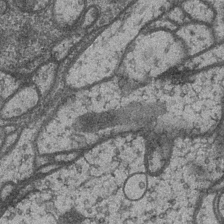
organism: Drosophila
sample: Optic medulla